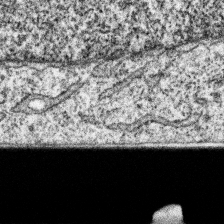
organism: Human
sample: HeLa cells